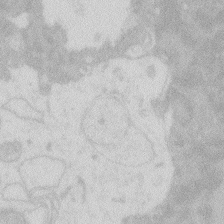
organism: Zebrafish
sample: Macrophage